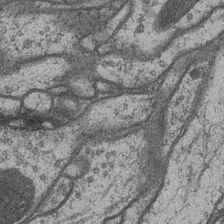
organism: Drosophila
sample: Optic medulla